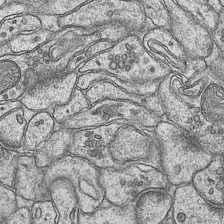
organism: Mouse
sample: CA1 Hippocampus